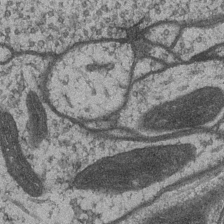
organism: Drosophila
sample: Optic medulla